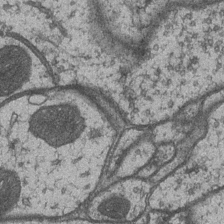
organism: Drosophila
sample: Optic medulla